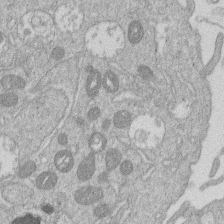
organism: Human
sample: Macrophage cells